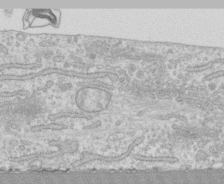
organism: Human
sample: CRL-1474